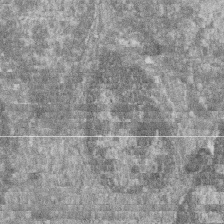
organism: Zebrafish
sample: Cilia; retinal pigment epithelium